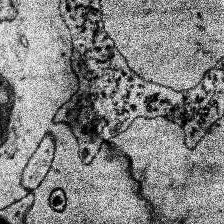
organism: Human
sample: Temporal Lobe